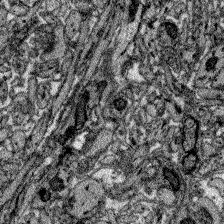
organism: Zebrafish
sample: Larval olfactory bulb